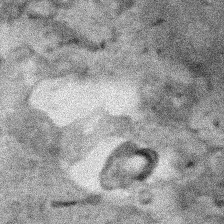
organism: Human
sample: Mitochondria in HCT116 cells